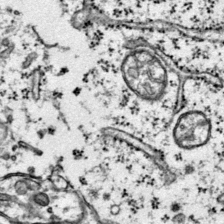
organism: Mouse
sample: Primary visual cortex